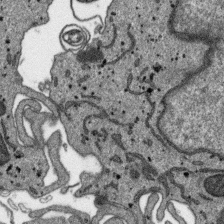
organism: Human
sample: Lung epithelial cells, uninfected (mock) control